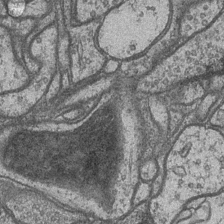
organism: Drosophila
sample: Optic medulla